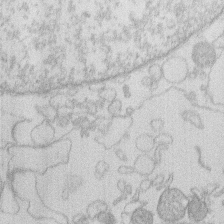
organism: Human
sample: Macrophage cells